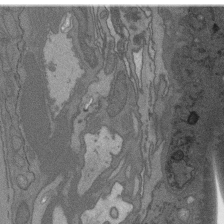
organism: C. elegans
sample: AFD neurons C. elegans